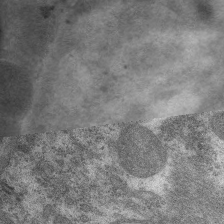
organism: C. elegans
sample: Pharynx